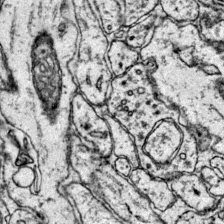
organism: Mouse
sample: Primary visual cortex